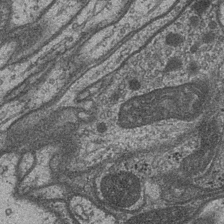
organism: Drosophila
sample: Optic medulla